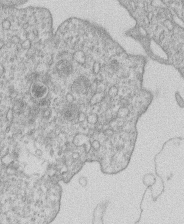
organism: Human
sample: Macrophage cells